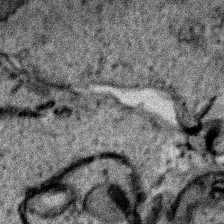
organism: Human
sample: Mitochondria in HCT116 cells